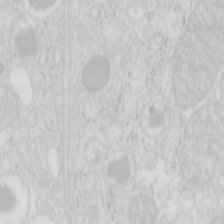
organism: Mouse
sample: Pancreas